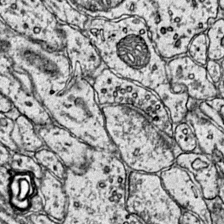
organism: Mouse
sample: Primary visual cortex